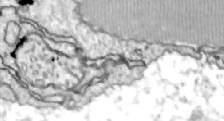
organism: Zebrafish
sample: Actinotrichia fibers